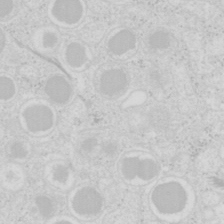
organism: Mouse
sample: Pancreas